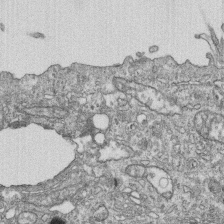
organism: Human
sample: HeLa cell HIV synapse